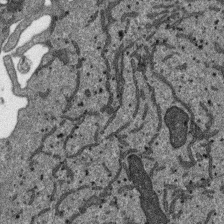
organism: Human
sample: Lung epithelial cells infected with SARS-CoV-2